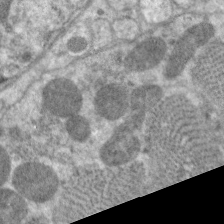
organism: C. elegans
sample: Pharynx